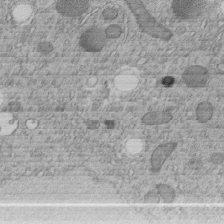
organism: C. elegans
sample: C. elegans embryo early stage